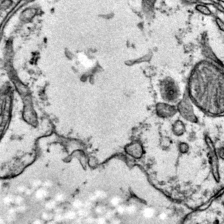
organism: Mouse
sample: Primary visual cortex